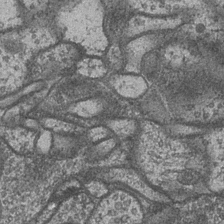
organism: Drosophila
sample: Optic medulla